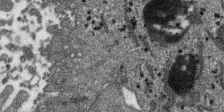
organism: Human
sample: Lung epithelial cells infected with SARS-CoV-2